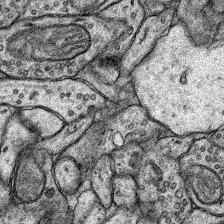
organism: Rat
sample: Hippocampus